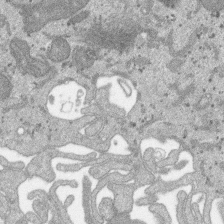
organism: Human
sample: Lung epithelial cells infected with SARS-CoV-2